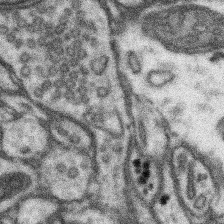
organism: Mouse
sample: Somatosensory cortex neuropil